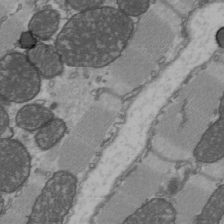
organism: C57BL Mouse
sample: Heart